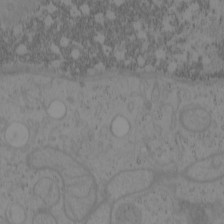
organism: Human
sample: HeLa cells